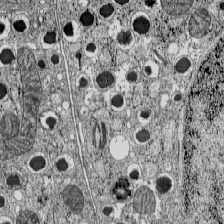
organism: C57BL Mouse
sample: Pancreatic islet